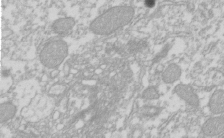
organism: Xenopus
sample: Cilia; centrioles in frog embryo cells